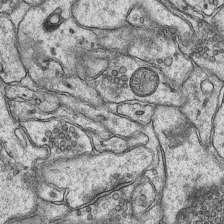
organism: Mouse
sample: CA1 Hippocampus